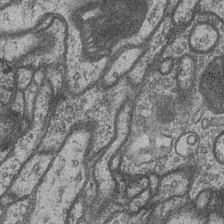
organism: Drosophila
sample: Optic medulla